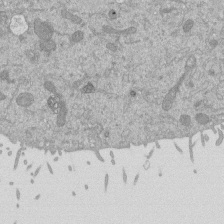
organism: Mouse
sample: ED-1 cell nuclei; centrioles